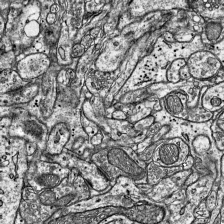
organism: Mouse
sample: Visual Cortex